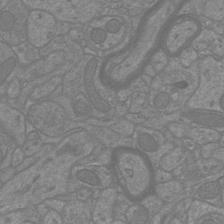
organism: Mouse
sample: Cortical neurons